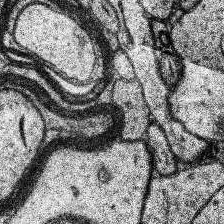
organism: Human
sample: Temporal Lobe